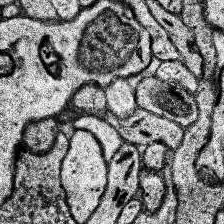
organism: Human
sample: Temporal Lobe